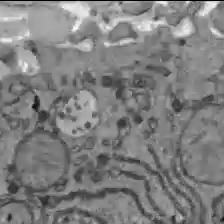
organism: C57BL Mouse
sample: Liver